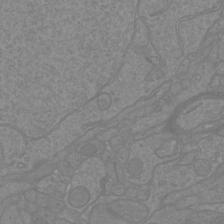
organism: Mouse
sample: Cortical neurons